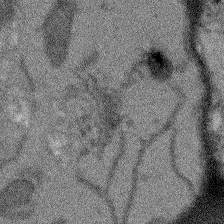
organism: Arabidopsis thaliana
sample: Root tip